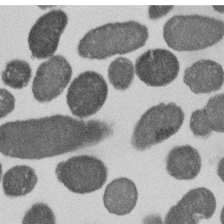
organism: E. coli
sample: Bacterial nucleoid